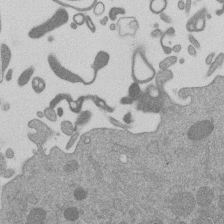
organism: Mouse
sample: Dividing mouse embryo 1 cell stage